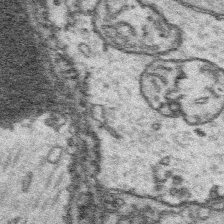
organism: Platynereis dumerilii